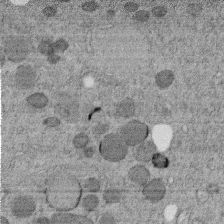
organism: C. elegans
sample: C. elegans embryo early stage